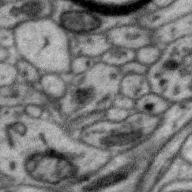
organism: Zebra finch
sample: Brain